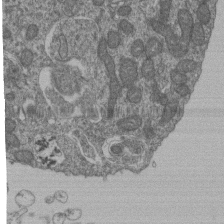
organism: Human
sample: Retinal organoid Rod and Cone cells